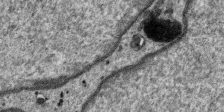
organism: Human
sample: Lung epithelial cells, uninfected (mock) control